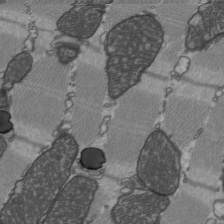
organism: C57BL Mouse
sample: Heart